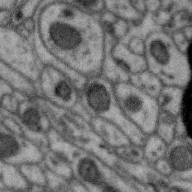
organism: Zebra finch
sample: Brain